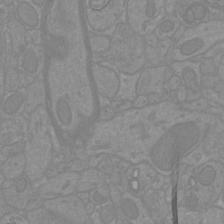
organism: Mouse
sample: Cortical neurons